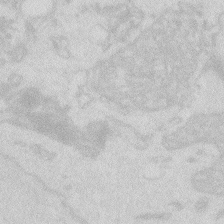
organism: Zebrafish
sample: Macrophage